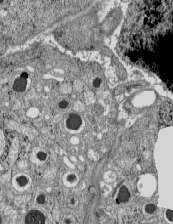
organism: C57BL Mouse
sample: Pancreatic islet